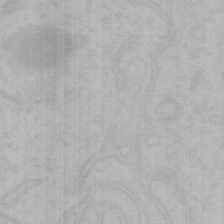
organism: Mouse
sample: Choroid plexus